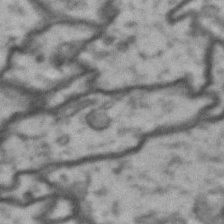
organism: Drosophila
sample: Brain